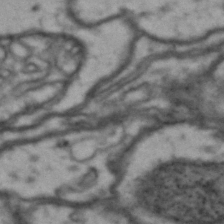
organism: Drosophila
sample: Brain